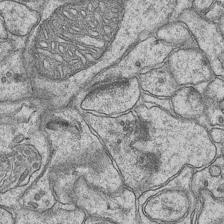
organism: Mouse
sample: CA1 Hippocampus